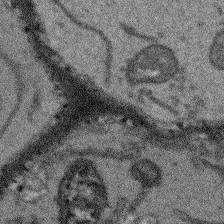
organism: Arabidopsis thaliana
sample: Root tip